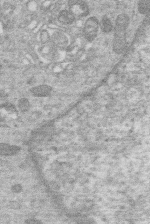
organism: Human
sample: Macrophage cells